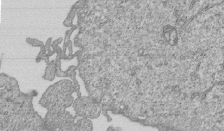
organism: Human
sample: MDA-MB-231 cells